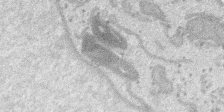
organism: Human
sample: Lung epithelial cells infected with SARS-CoV-2